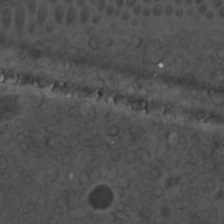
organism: C. elegans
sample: C. elegans embryo